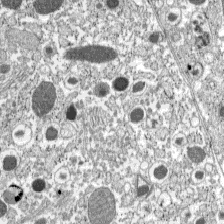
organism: C57BL Mouse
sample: Pancreatic islet